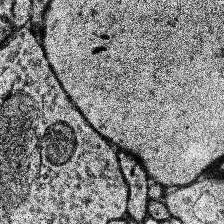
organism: Human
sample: Temporal Lobe